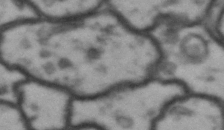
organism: Drosophila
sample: Brain